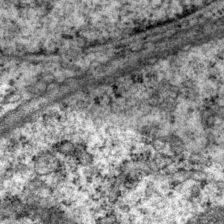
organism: P. pacificus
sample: Pharynx